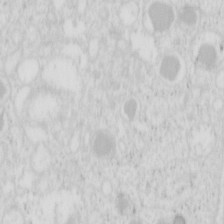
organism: Mouse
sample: Pancreas